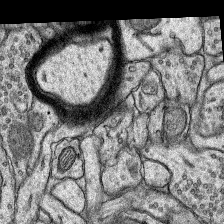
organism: Rat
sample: Hippocampus